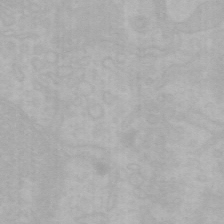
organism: Mouse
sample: Choroid plexus